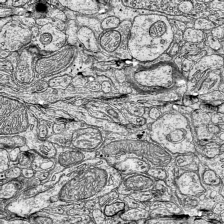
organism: Mouse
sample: Visual Cortex